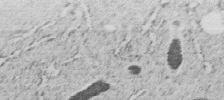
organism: C. elegans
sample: C. elegans embryo early stage